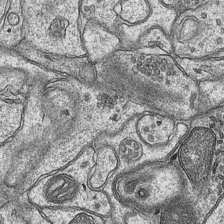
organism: Mouse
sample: CA1 Hippocampus